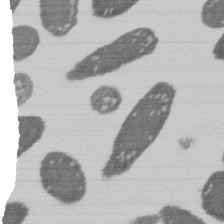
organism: E. coli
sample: Bacterial nucleoid